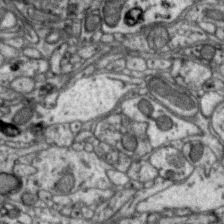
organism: Zebra finch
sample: Brain